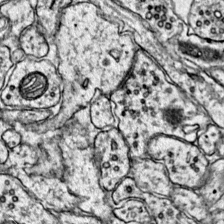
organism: Mouse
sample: Primary visual cortex